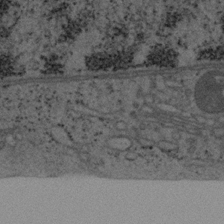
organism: Human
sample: HeLa cells